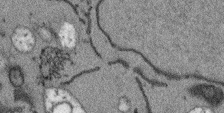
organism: Arabidopsis thaliana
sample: Root tip